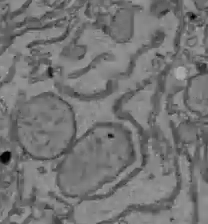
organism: C57BL Mouse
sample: Liver